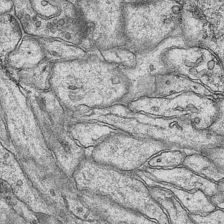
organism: Mouse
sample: CA1 Hippocampus